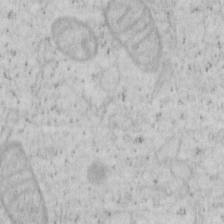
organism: Human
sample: HeLa cells